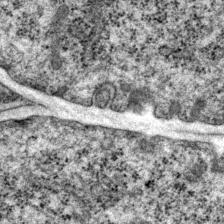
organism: P. pacificus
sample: Pharynx